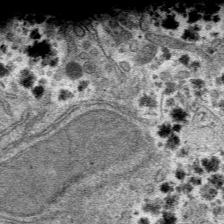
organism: Mouse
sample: Mouse hepatocytes